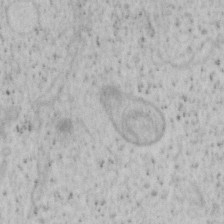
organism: Human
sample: HeLa cells